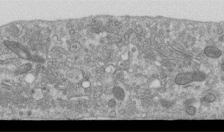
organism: Human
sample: Centriole in RPE cells